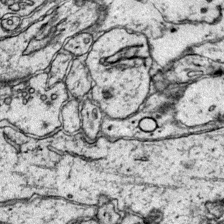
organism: Mouse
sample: Primary visual cortex